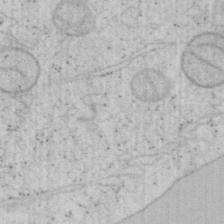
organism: Human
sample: HeLa cells